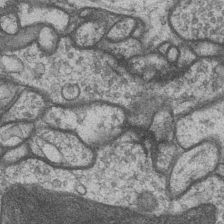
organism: Drosophila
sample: Optic medulla